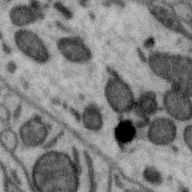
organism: Zebra finch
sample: Brain